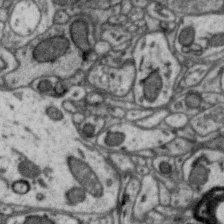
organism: Zebra finch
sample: Brain